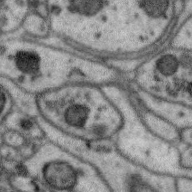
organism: Zebra finch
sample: Brain